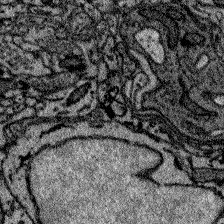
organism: Zebrafish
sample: Larval olfactory bulb